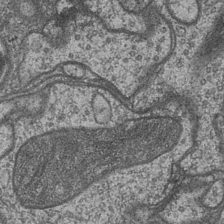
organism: Drosophila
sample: Optic medulla